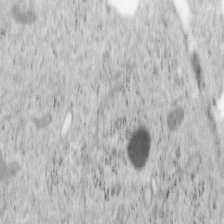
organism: Human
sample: HeLa cells